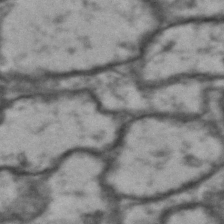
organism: Drosophila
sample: Brain